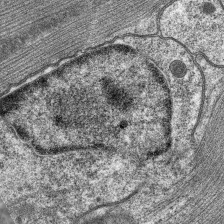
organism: C. elegans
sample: Pharynx